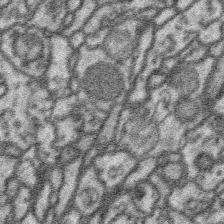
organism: Platynereis dumerilii